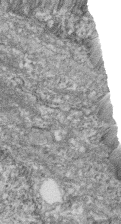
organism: Zebrafish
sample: Cilia; retinal pigment epithelium